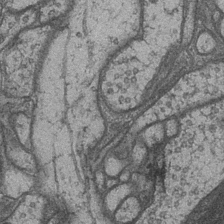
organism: Drosophila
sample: Optic medulla